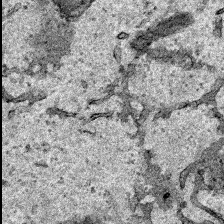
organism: Human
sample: Mitochondria in HCT116 cells